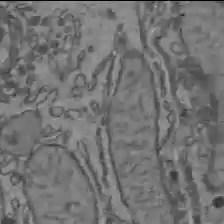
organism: C57BL Mouse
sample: Liver